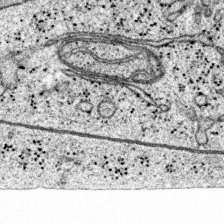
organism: Human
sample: HeLa cells